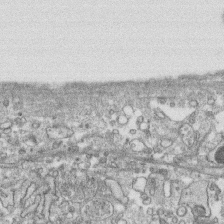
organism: Human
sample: CRL-1474